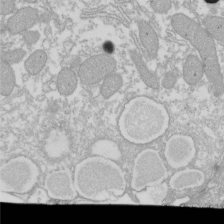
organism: Xenopus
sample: Cilia; centrioles in frog embryo cells